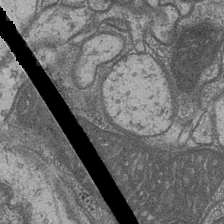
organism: Drosophila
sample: Optic medulla